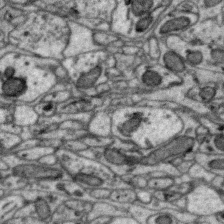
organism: Zebra finch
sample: Brain